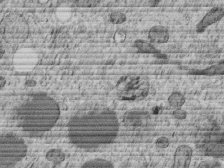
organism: C. elegans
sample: C. elegans embryo early stage